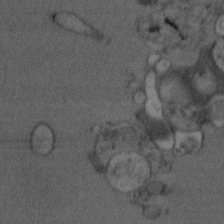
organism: Human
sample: HeLa cells